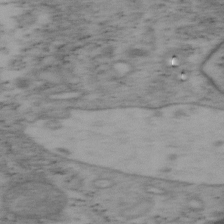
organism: Mouse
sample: OT-I killer T cells with ID8 ovarian cancer cells